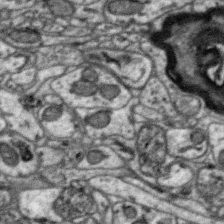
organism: Zebra finch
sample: Brain